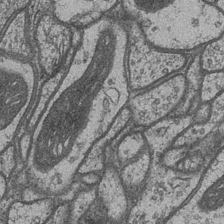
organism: Drosophila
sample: Optic medulla